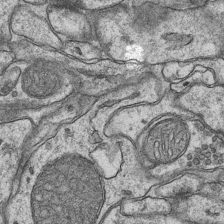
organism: Mouse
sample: CA1 Hippocampus